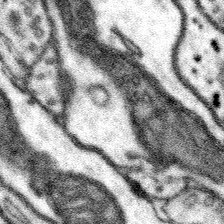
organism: Mouse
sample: Somatosensory cortex neuropil